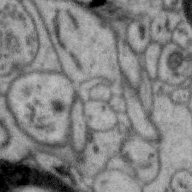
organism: Zebra finch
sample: Brain